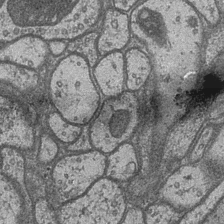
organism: Drosophila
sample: Optic medulla